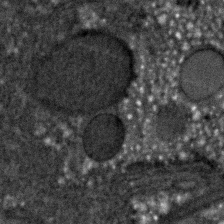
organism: C. elegans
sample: C. elegans embryo